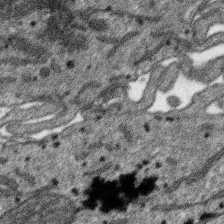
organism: Human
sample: Lung epithelial cells infected with SARS-CoV-2